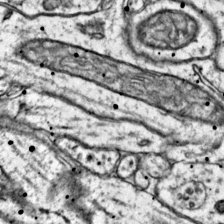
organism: Mouse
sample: Primary visual cortex